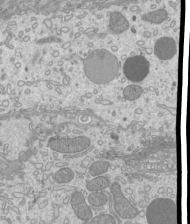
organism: Mouse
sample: Cilia; mouse epididymis